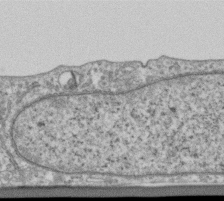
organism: Human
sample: Centriole in RPE cells